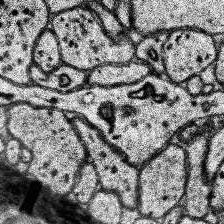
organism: Human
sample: Temporal Lobe